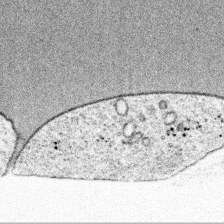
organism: Human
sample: HeLa cells